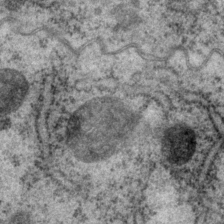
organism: P. pacificus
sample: Pharynx